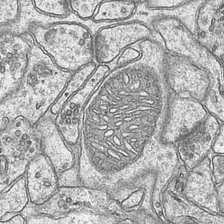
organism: Mouse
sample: CA1 Hippocampus